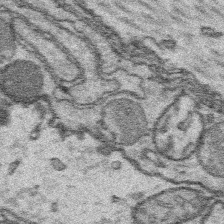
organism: Platynereis dumerilii